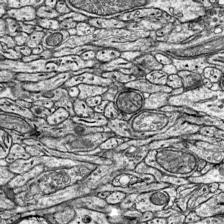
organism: Mouse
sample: Visual Cortex